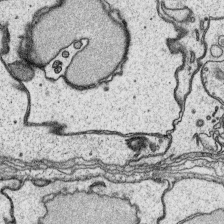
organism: Platynereis dumerilii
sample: Parapodia